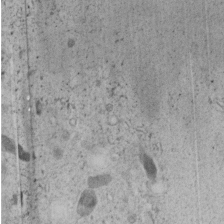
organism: C. elegans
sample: C. elegans embryo early stage